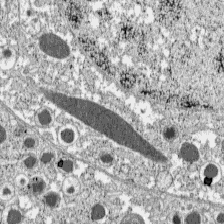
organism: C57BL Mouse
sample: Pancreatic islet